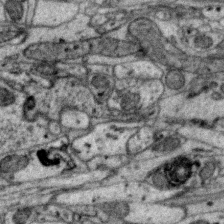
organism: Zebra finch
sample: Brain